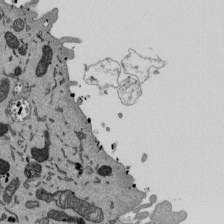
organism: Mouse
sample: ED-1 cell nuclei; centrioles